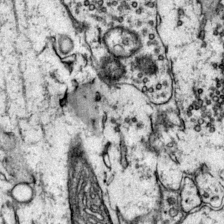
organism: Mouse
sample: Primary visual cortex